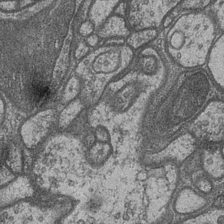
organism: Drosophila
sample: Optic medulla